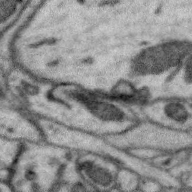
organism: Zebra finch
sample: Brain